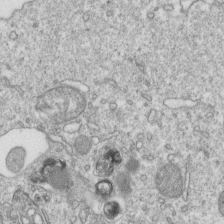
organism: Mouse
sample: Activated OT-1 CD8+ T cells